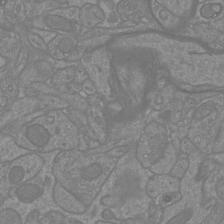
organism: Mouse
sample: Cortical neurons